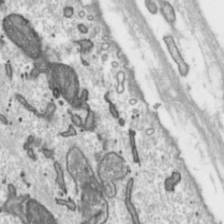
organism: Toxoplasma gondii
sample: Parasites in a vacuole inside a host cell